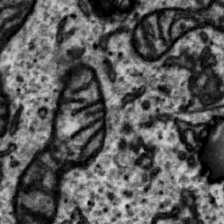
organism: Human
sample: HeLa cells